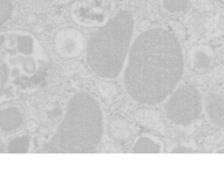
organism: Mouse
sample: Pancreas